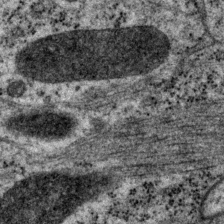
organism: P. pacificus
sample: Pharynx